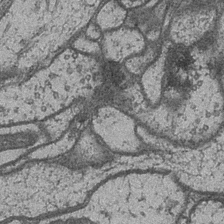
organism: Drosophila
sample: Optic medulla